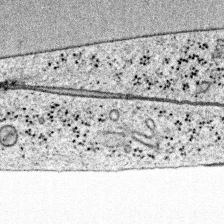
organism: Human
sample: HeLa cells